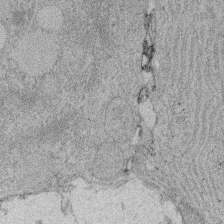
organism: Rat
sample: Salivary granule